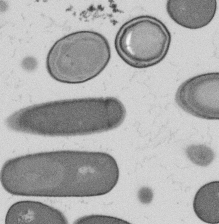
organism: B. subtilis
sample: Bacterial spore